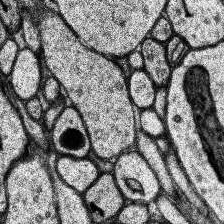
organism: Human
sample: Temporal Lobe